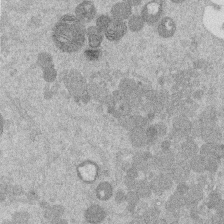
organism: Mouse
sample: Dividing mouse embryo 1 cell stage